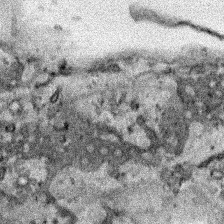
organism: Human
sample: Mitochondria in HCT116 cells